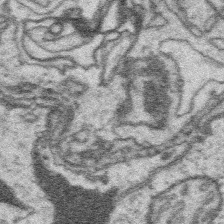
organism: Platynereis dumerilii